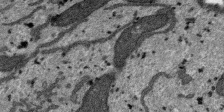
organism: Human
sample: Lung epithelial cells, uninfected (mock) control